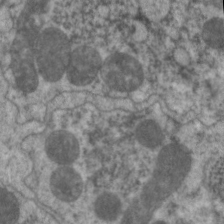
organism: C. elegans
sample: Pharynx